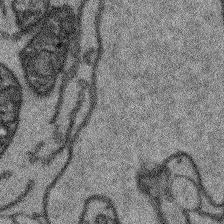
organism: Arabidopsis thaliana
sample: Root tip